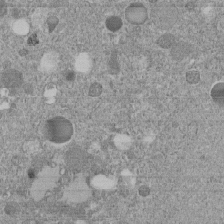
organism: C. elegans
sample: C. elegans embryo early stage